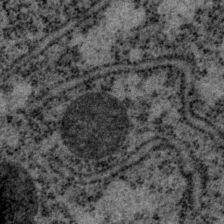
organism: P. pacificus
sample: Pharynx